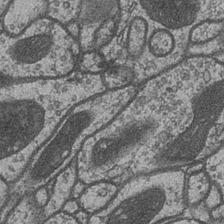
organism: Drosophila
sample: Optic medulla